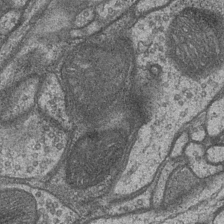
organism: Drosophila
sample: Optic medulla